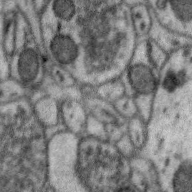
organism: Zebra finch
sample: Brain